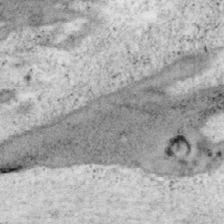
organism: Mouse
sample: OT-I killer T cells with ID8 ovarian cancer cells